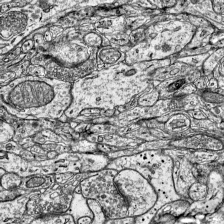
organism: Mouse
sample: Visual Cortex